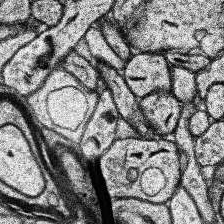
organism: Human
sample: Temporal Lobe